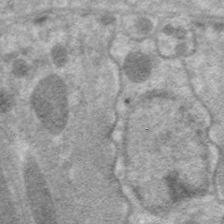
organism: C. elegans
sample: Pharynx